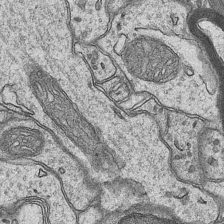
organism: Mouse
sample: CA1 Hippocampus